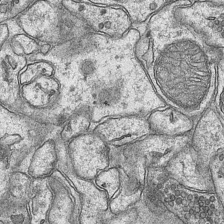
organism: Mouse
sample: CA1 Hippocampus